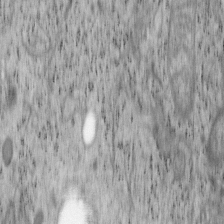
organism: Human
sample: HeLa cells